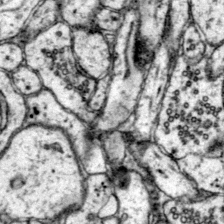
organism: Mouse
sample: Primary visual cortex